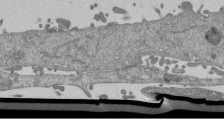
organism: Mouse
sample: ED-1 cell nuclei; centrioles